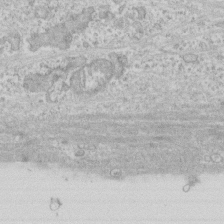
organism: Human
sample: CRL-1474